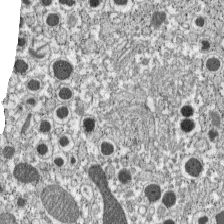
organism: C57BL Mouse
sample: Pancreatic islet